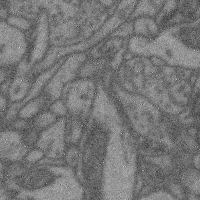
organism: Mouse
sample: Cerebral cortex